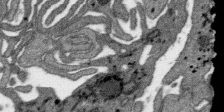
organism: Human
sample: Lung epithelial cells, uninfected (mock) control